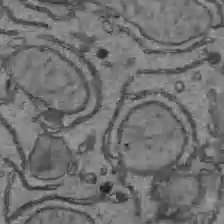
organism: C57BL Mouse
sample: Liver